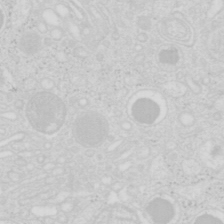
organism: Mouse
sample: Pancreas